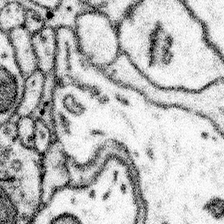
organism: Mouse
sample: Somatosensory cortex neuropil